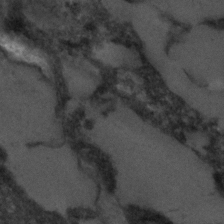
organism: C. elegans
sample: C. elegans embryo